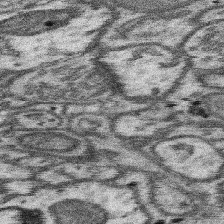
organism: Mouse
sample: Somatosensory cortex neuropil